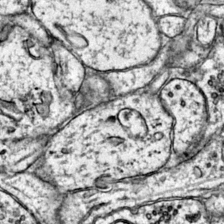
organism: Mouse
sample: Primary visual cortex